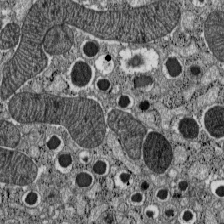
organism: C57BL Mouse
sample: Pancreatic islet